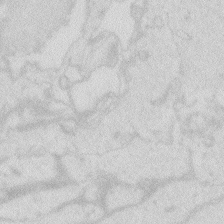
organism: Zebrafish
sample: Macrophage